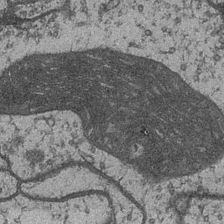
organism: Drosophila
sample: Optic medulla